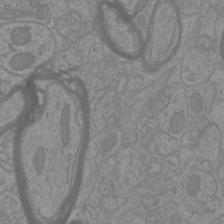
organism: Mouse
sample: Cortical neurons